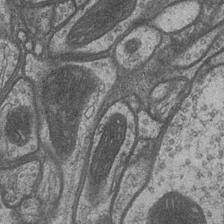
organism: Drosophila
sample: Optic medulla